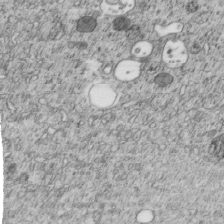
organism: C. elegans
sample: C. elegans embryo early stage